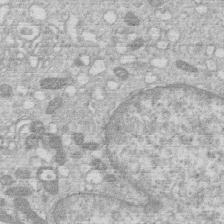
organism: Human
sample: Macrophage cells